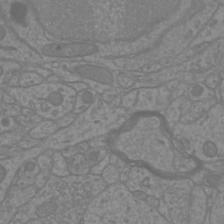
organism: Mouse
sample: Cortical neurons